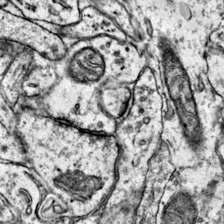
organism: Mouse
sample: Primary visual cortex